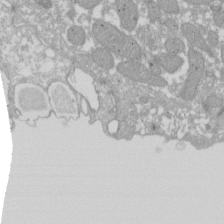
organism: Xenopus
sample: Cilia; centrioles in frog embryo cells